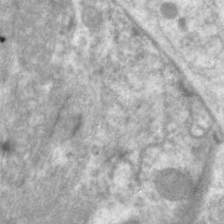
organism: C. elegans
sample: Pharynx